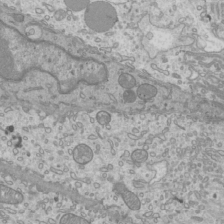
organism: Mouse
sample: Cilia; mouse epididymis